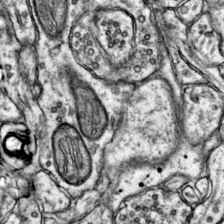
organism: Mouse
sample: Primary visual cortex